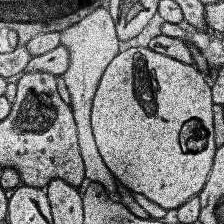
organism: Human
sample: Temporal Lobe